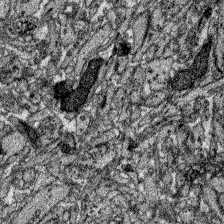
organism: Zebrafish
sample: Larval olfactory bulb